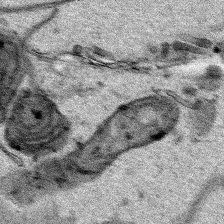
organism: Human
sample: Mitochondria in HCT116 cells